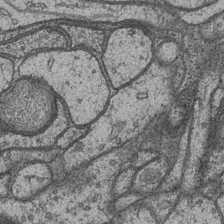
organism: Drosophila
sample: Optic medulla